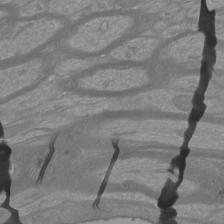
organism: Mouse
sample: Cortical neurons